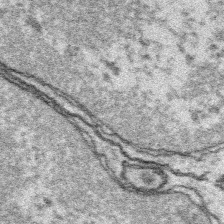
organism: Platynereis dumerilii